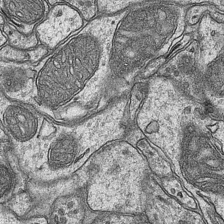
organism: Mouse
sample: CA1 Hippocampus